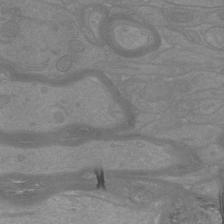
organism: Mouse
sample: Cortical neurons